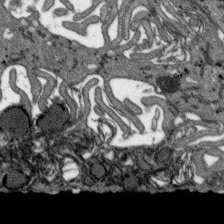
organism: Human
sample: Lung epithelial cells, uninfected (mock) control